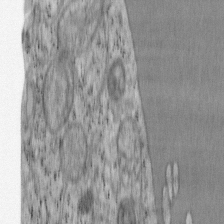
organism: Human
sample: HeLa cells